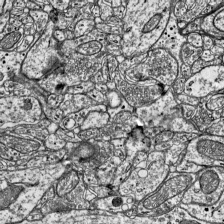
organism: Mouse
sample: Visual Cortex